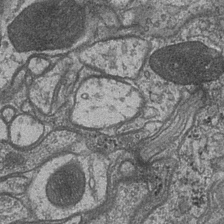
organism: Drosophila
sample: Optic medulla